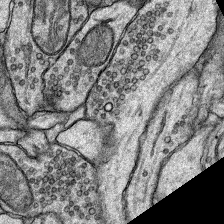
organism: Rat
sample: Hippocampus